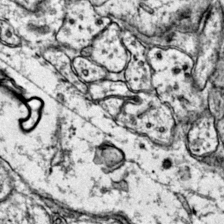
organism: Mouse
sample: Primary visual cortex